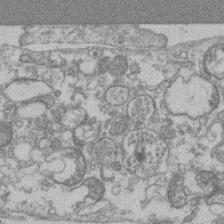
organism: Mouse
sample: T cell stromal cell synapse